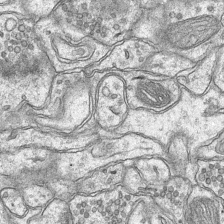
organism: Mouse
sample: CA1 Hippocampus